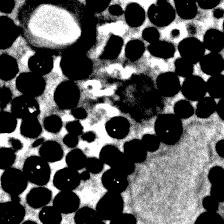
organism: Zebrafish